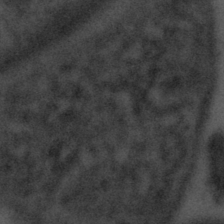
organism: Tuwongella immobilis